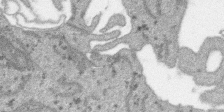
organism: Human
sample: Lung epithelial cells infected with SARS-CoV-2